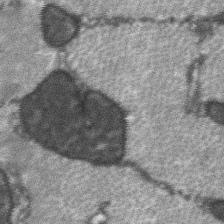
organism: C57BL Mouse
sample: Soleus